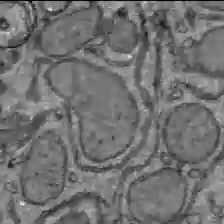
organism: C57BL Mouse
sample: Liver